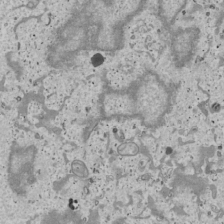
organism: Human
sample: Mitochondria in U2OS cells